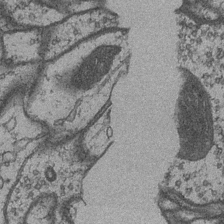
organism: Drosophila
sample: Optic medulla